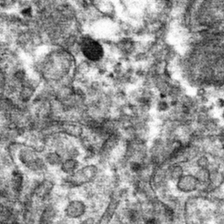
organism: Mouse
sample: Mouse hepatocytes